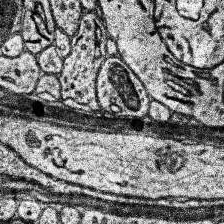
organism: Human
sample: Temporal Lobe